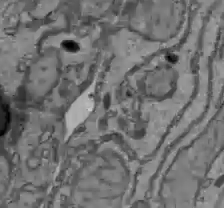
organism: C57BL Mouse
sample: Liver